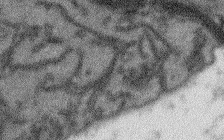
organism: Arabidopsis thaliana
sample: Root tip